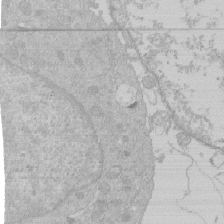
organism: Human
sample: Macrophage cells